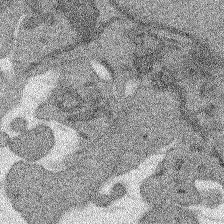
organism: Human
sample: HeLa cells